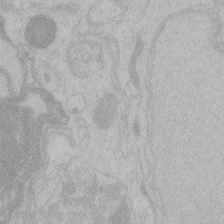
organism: Zebrafish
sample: Macrophage infected with Toxoplasma gondii